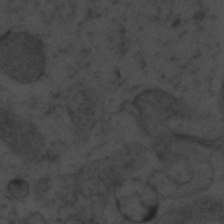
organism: Zebrafish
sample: Zebrafish embryo